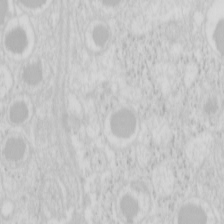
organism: Mouse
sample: Pancreas